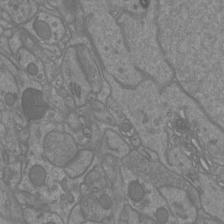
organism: Mouse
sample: Cortical neurons